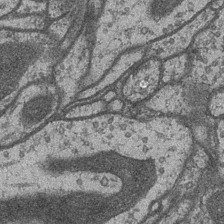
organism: Drosophila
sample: Optic medulla